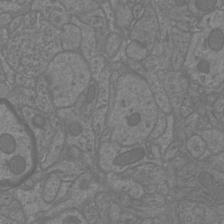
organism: Mouse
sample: Cortical neurons